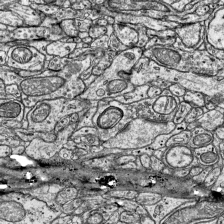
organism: Mouse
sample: Visual Cortex